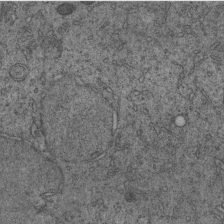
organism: C. elegans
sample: C. elegans embryo early stage